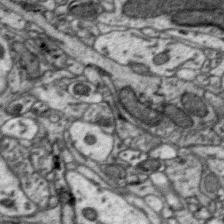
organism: Zebra finch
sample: Brain